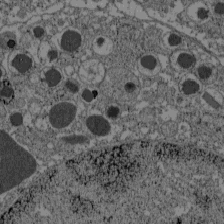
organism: C57BL Mouse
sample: Pancreatic islet